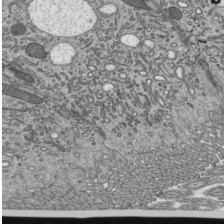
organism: Mouse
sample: Mouse epididymis efferent ductule cilia